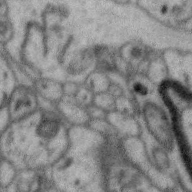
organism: Zebra finch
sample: Brain